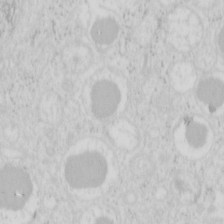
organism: Mouse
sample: Pancreas